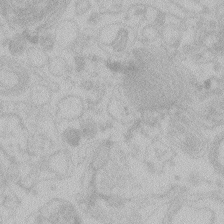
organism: Zebrafish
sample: Macrophage infected with Toxoplasma gondii